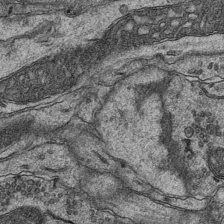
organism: Mouse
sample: CA1 Hippocampus